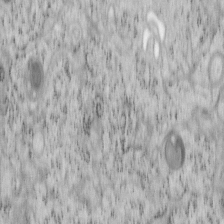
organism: Human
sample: HeLa cells